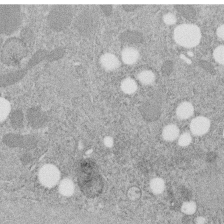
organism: C. elegans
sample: C. elegans embryo early stage